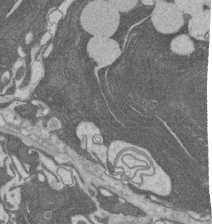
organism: Rat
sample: Salivary granule